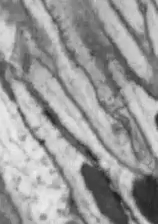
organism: Drosophila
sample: Optic lobe